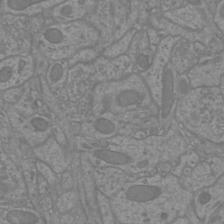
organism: Mouse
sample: Cortical neurons